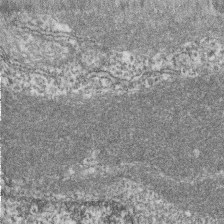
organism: Zebrafish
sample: Cilia; retinal pigment epithelium